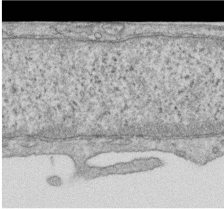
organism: Human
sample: Centriole in RPE cells